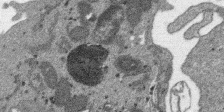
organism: Human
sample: Lung epithelial cells infected with SARS-CoV-2